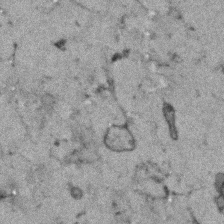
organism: Human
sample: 1205lu cells